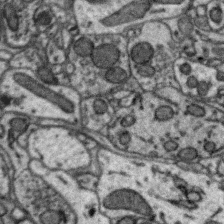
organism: Zebra finch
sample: Brain